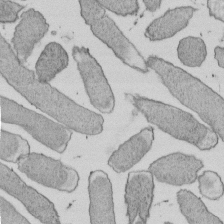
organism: E. coli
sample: Bacterial nucleoid